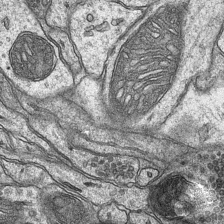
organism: Mouse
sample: CA1 Hippocampus